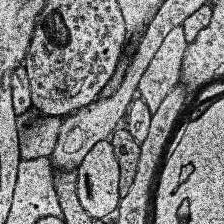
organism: Human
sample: Temporal Lobe